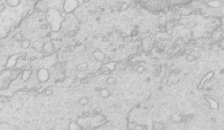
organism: Mouse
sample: Multiciliated cells